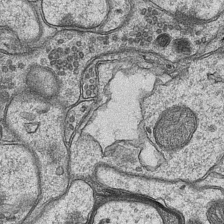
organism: Mouse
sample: CA1 Hippocampus